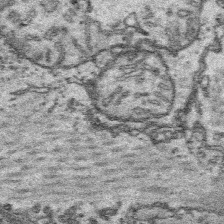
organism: Platynereis dumerilii